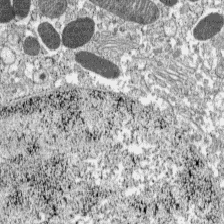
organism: C57BL Mouse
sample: Pancreatic islet